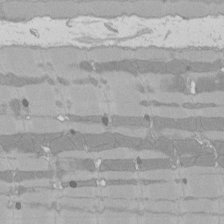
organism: Rat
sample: Left ventricle